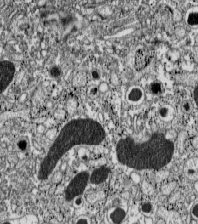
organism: C57BL Mouse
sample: Pancreatic islet